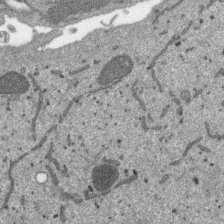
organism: Human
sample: Lung epithelial cells infected with SARS-CoV-2